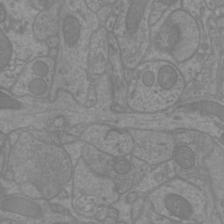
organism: Mouse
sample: Cortical neurons